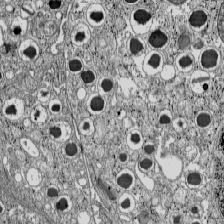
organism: C57BL Mouse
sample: Pancreatic islet